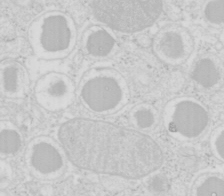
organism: Mouse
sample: Pancreas